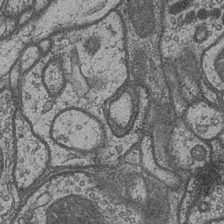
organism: Drosophila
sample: Optic medulla